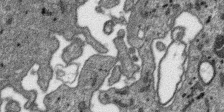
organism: Human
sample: Lung epithelial cells infected with SARS-CoV-2